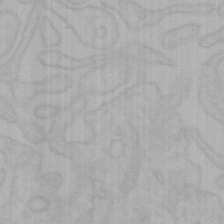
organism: Mouse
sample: Choroid plexus